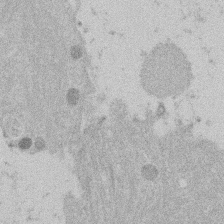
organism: Mouse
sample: Dividing mouse embryo 1 cell stage